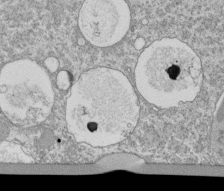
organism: Tetrahymena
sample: Cilia in tetrahymena